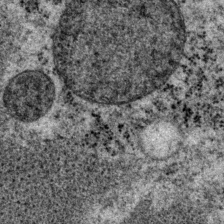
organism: P. pacificus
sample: Pharynx